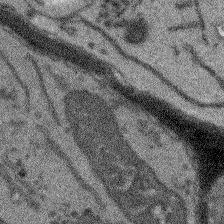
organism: Arabidopsis thaliana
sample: Root tip